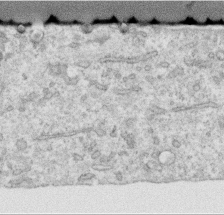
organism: Human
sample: Centriole in RPE cells